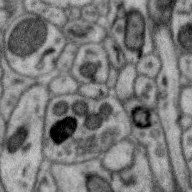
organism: Zebra finch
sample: Brain